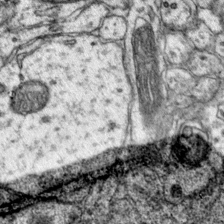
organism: Mouse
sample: Primary visual cortex